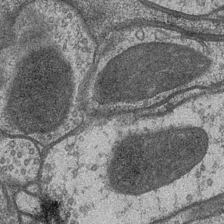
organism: Drosophila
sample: Optic medulla